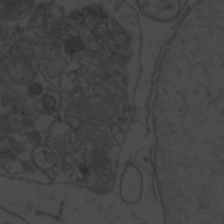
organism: Zebrafish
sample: Macrophage infected with Toxoplasma gondii